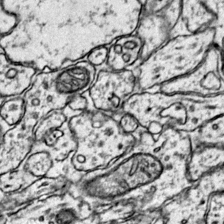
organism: Mouse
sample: Primary visual cortex